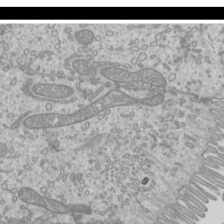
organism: Mouse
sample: Cilia; mouse epididymis